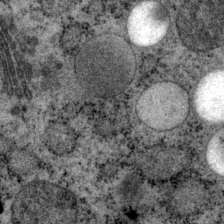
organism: P. pacificus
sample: Pharynx